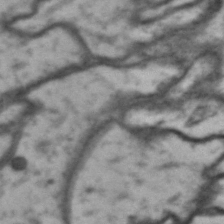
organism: Drosophila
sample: Brain